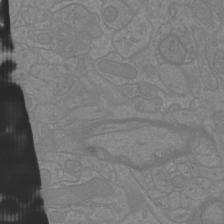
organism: Mouse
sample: Cortical neurons